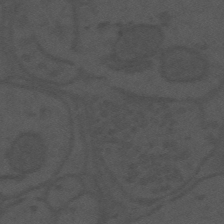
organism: Mouse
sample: Suprachiasmatic nucleus